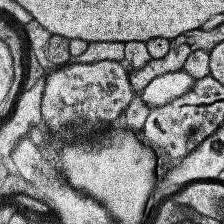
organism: Human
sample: Temporal Lobe